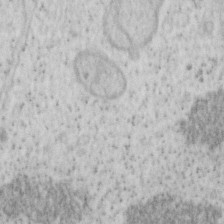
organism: Human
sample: HeLa cells